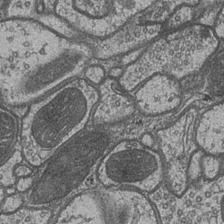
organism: Drosophila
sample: Optic medulla